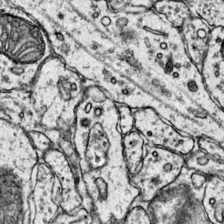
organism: Mouse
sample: Primary visual cortex